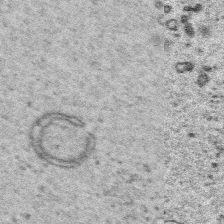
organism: Platynereis dumerilii